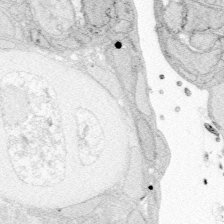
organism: Zebrafish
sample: Whole-Brain